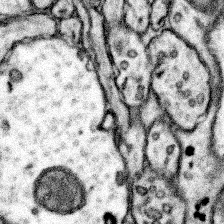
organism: Mouse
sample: Somatosensory cortex neuropil